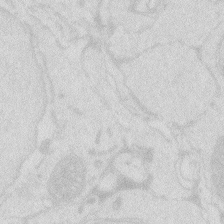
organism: Zebrafish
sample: Macrophage